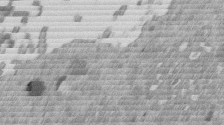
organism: Mouse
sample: Dividing mouse embryo 1 cell stage